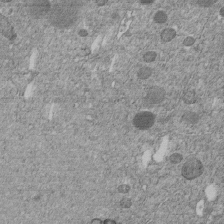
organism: C. elegans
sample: C. elegans embryo early stage